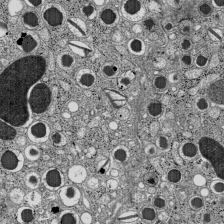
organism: C57BL Mouse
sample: Pancreatic islet